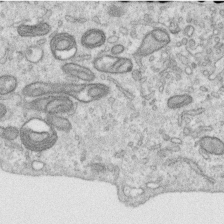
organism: Human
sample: Centriole in RPE cells